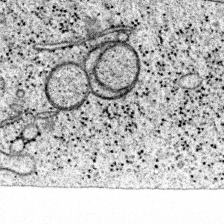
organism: Human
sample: HeLa cells